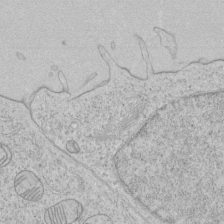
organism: Human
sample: Mitochondria in HCT116 cells